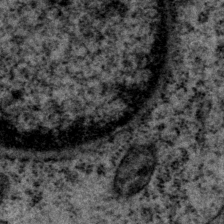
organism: P. pacificus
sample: Pharynx